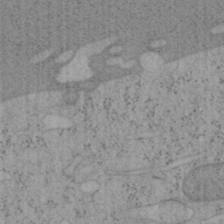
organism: Mouse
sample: OT-I killer T cells with ID8 ovarian cancer cells